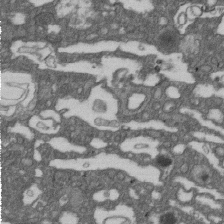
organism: Drosophila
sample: Nephrocyte